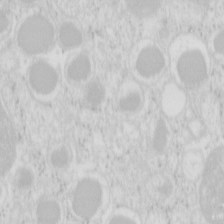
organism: Mouse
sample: Pancreas